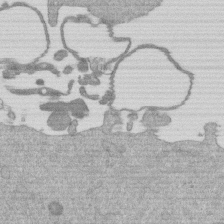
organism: Mouse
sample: Dividing mouse embryo 1 cell stage